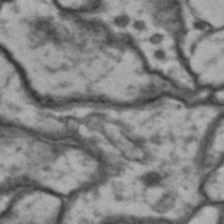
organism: Drosophila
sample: Brain